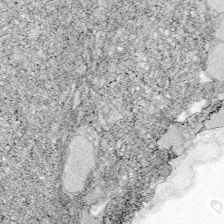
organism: Zebrafish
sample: Whole-Brain